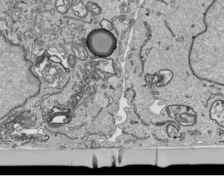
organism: Human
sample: Mitochondria in HCT116 cells